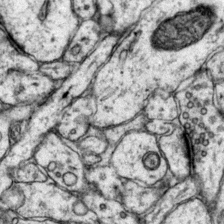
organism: Mouse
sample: Primary visual cortex